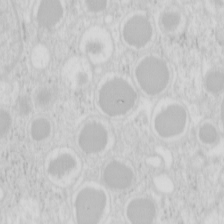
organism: Mouse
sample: Pancreas